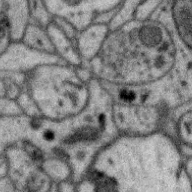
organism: Zebra finch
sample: Brain